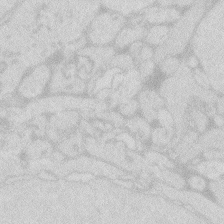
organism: Zebrafish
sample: Macrophage